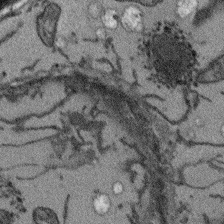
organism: Arabidopsis thaliana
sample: Root tip